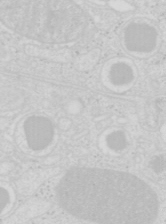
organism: Mouse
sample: Pancreas